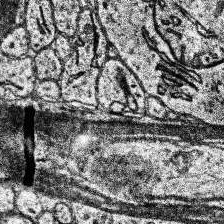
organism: Human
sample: Temporal Lobe